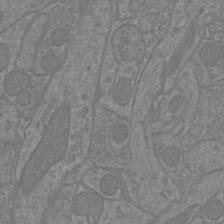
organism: Mouse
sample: Cortical neurons